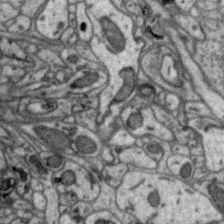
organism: Zebra finch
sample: Brain